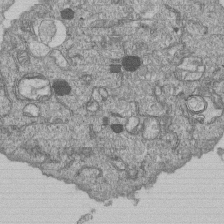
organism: Human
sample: MDA-MB-231 cells